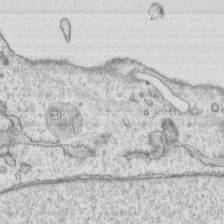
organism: Human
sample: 1205lu cells